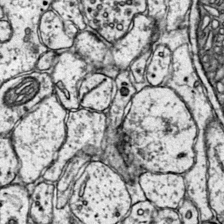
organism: Mouse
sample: Primary visual cortex